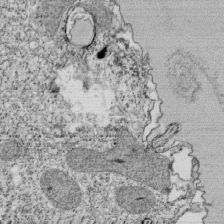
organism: Tetrahymena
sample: Cilia in tetrahymena